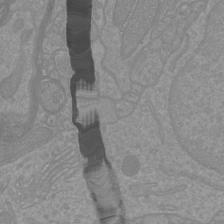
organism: Mouse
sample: Cortical neurons